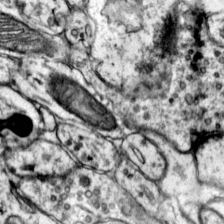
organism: Mouse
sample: Primary visual cortex